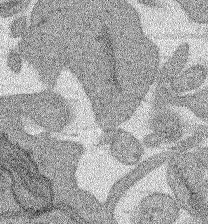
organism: Human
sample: HeLa cells